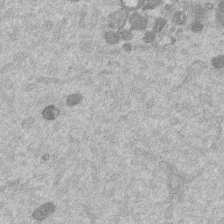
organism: Mouse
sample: Dividing mouse embryo 1 cell stage